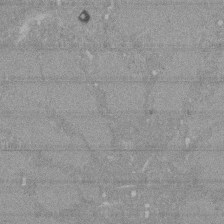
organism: Mouse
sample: ED-1 cell nuclei; centrioles